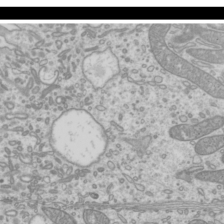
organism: Mouse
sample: Cilia; mouse epididymis